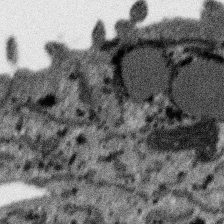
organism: Human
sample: Lung epithelial cells infected with SARS-CoV-2